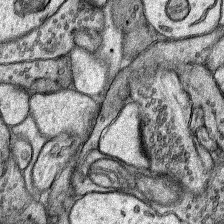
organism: Rat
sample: Hippocampus